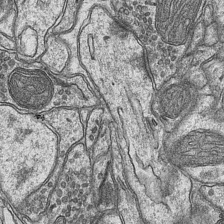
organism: Mouse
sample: CA1 Hippocampus